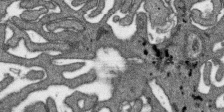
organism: Human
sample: Lung epithelial cells, uninfected (mock) control